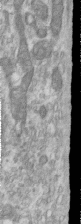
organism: Human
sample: Centriole in RPE cells